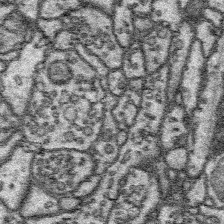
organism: Platynereis dumerilii